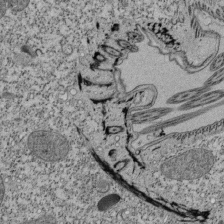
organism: Tetrahymena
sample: Cilia in tetrahymena